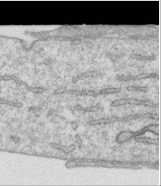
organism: Human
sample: Centriole in RPE cells